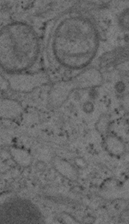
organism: Human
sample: HeLa cells